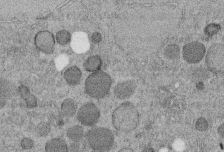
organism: C. elegans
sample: C. elegans embryo early stage